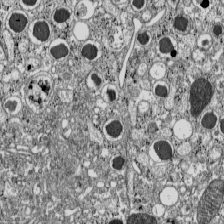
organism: C57BL Mouse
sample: Pancreatic islet